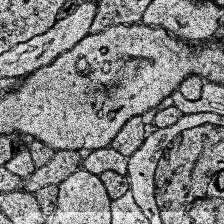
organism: Human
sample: Temporal Lobe